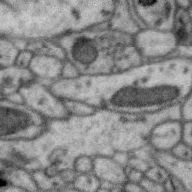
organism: Zebra finch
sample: Brain